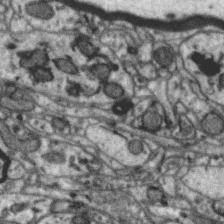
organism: Zebra finch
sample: Brain